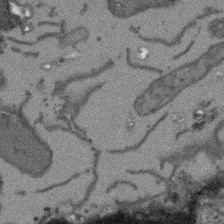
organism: Arabidopsis thaliana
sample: Root tip